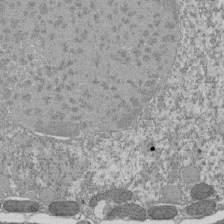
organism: Tetrahymena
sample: Cilia in tetrahymena